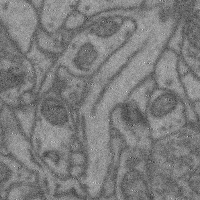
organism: Mouse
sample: Cerebral cortex